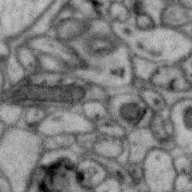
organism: Zebra finch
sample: Brain